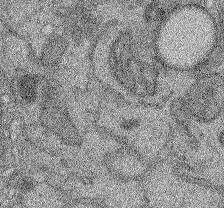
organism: Human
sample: HeLa cells